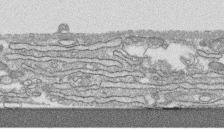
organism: Human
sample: CRL-1474